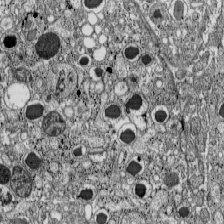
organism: C57BL Mouse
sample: Pancreatic islet